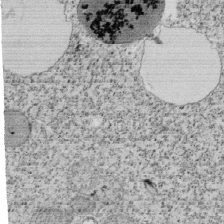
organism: Tetrahymena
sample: Cilia in tetrahymena